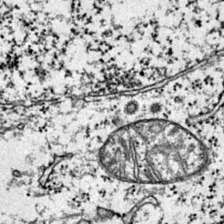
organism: Mouse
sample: Primary visual cortex